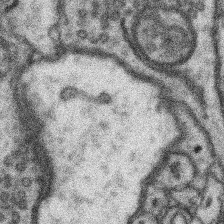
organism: Mouse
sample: Somatosensory cortex neuropil